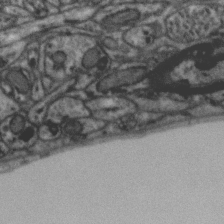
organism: Zebra finch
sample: Brain